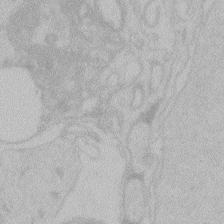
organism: Zebrafish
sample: Macrophage infected with Toxoplasma gondii